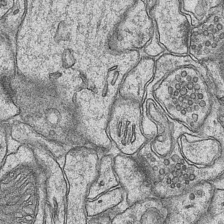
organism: Mouse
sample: CA1 Hippocampus